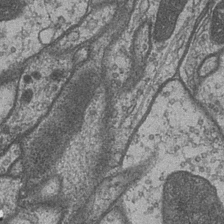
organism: Drosophila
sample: Optic medulla